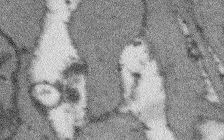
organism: Arabidopsis thaliana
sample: Root tip